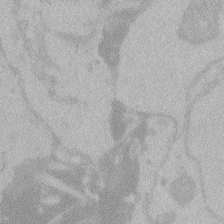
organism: Zebrafish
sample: Macrophage infected with Toxoplasma gondii